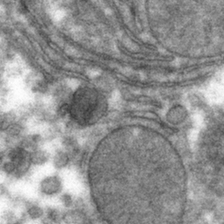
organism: Mouse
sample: Mouse hepatocytes